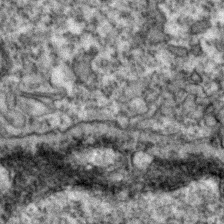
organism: Zebrafish